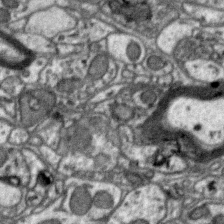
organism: Zebra finch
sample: Brain